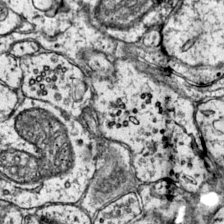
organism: Mouse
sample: Primary visual cortex